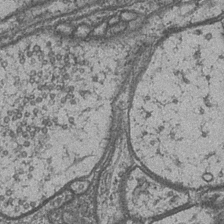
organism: Drosophila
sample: Optic medulla